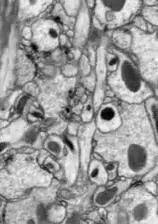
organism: Drosophila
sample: Optic lobe